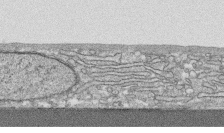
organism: Human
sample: CRL-1474